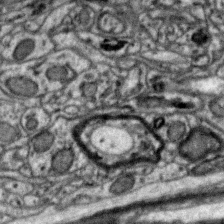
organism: Zebra finch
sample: Brain